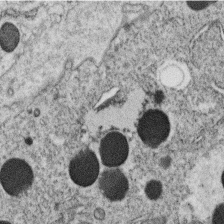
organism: C. elegans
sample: C. elegans oocyte; sperm cells